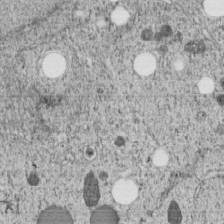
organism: C. elegans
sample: C. elegans embryo early stage